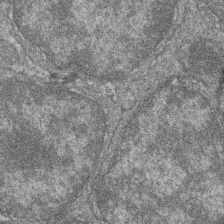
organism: Zebrafish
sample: Cilia; retinal pigment epithelium